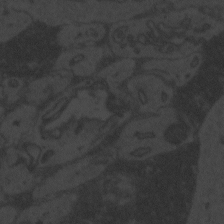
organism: Zebrafish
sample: Macrophage infected with Toxoplasma gondii